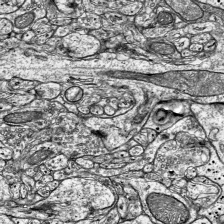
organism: Mouse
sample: Visual Cortex